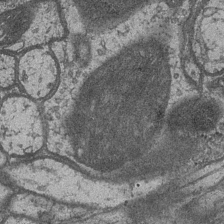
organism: Drosophila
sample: Optic medulla